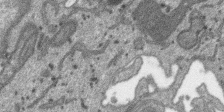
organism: Human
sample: Lung epithelial cells infected with SARS-CoV-2